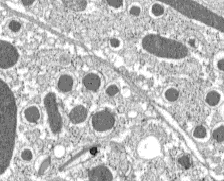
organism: C57BL Mouse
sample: Pancreatic islet